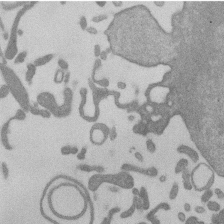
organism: Mouse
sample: Dividing mouse embryo 1 cell stage